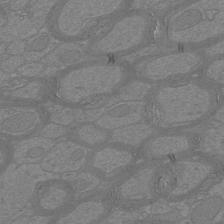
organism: Mouse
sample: Cortical neurons